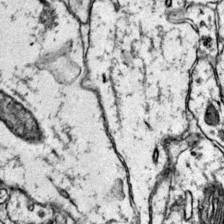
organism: Mouse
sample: Primary visual cortex